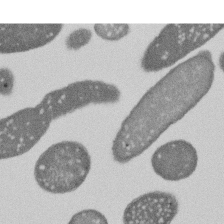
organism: E. coli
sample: Bacterial nucleoid